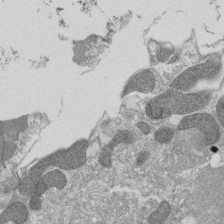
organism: Tetrahymena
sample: Cilia in tetrahymena